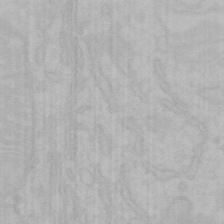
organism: Mouse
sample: Choroid plexus